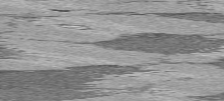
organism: C57BL Mouse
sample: Heart